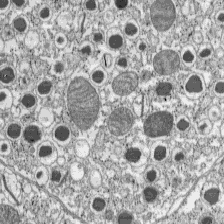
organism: C57BL Mouse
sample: Pancreatic islet